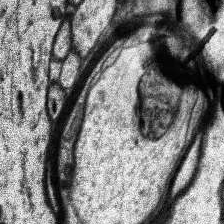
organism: Human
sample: Temporal Lobe